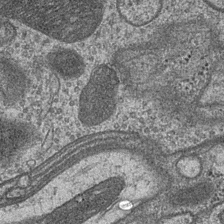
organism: Drosophila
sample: Optic medulla